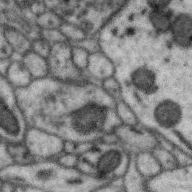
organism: Zebra finch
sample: Brain